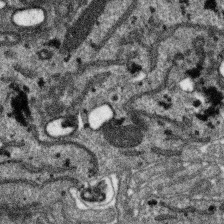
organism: Human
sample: Lung epithelial cells infected with SARS-CoV-2